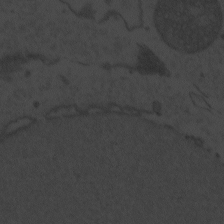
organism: Zebrafish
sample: Macrophage infected with Toxoplasma gondii